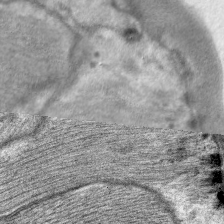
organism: C. elegans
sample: Pharynx